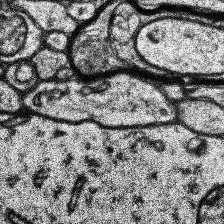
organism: Human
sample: Temporal Lobe